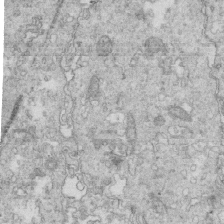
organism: Mouse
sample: Multiciliated cells